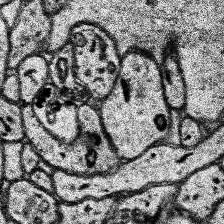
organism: Human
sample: Temporal Lobe